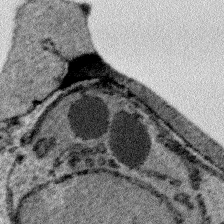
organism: Plasmodium falciparum